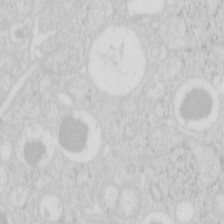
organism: Mouse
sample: Pancreas